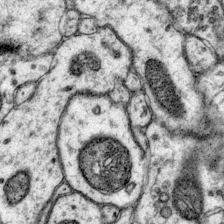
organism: Mouse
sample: Primary visual cortex